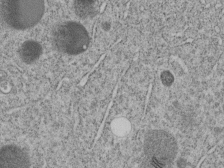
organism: C. elegans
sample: C. elegans embryo early stage